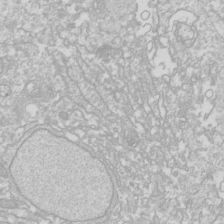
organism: Drosophila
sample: Cell division; meiosis; drosophila spermatocytes